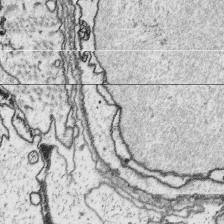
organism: Platynereis dumerilii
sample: Parapodia